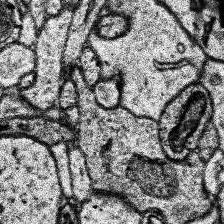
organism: Human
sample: Temporal Lobe